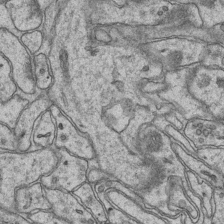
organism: Mouse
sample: CA1 Hippocampus